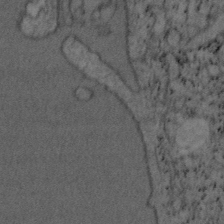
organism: Human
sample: HeLa cells